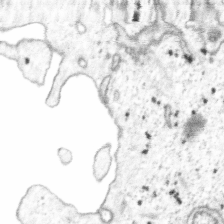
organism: Human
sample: HeLa cells